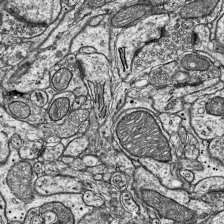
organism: Mouse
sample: Visual Cortex